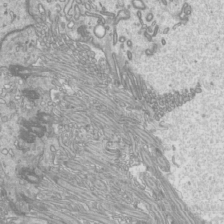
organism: Mouse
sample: Cilia; mouse epididymis